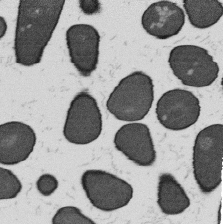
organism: B. subtilis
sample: Bacterial spore